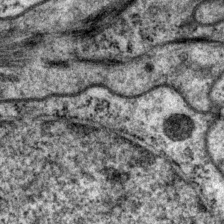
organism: P. pacificus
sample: Pharynx